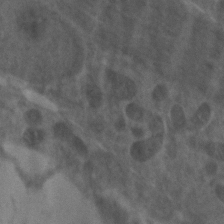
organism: Zebrafish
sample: Zebrafish embryo